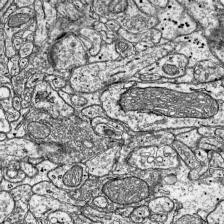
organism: Mouse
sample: Visual Cortex